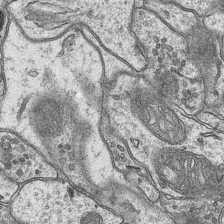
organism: Mouse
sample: CA1 Hippocampus